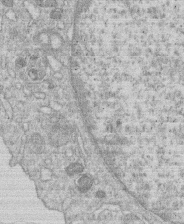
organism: Human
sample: Macrophage cells